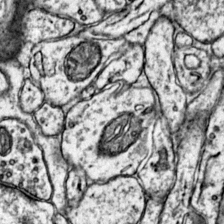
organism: Mouse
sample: Primary visual cortex